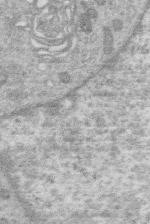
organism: Human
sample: Macrophage cells